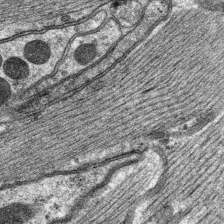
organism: C. elegans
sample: Pharynx